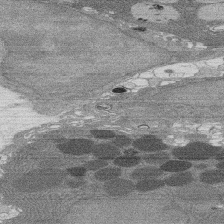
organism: Rat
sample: Salivary granule